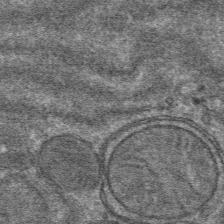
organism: Mouse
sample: Mouse hepatocytes